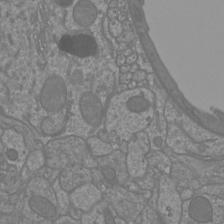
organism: Mouse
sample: Cortical neurons